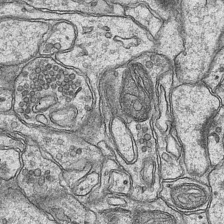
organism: Mouse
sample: CA1 Hippocampus